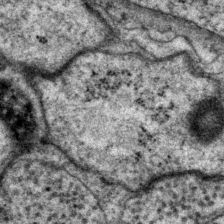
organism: P. pacificus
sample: Pharynx